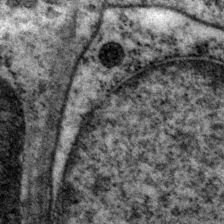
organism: P. pacificus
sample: Pharynx